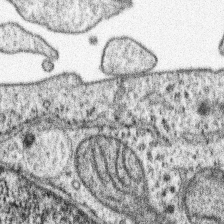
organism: Human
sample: HeLa cells